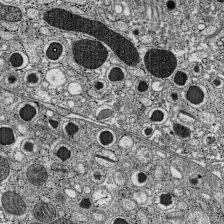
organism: C57BL Mouse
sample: Pancreatic islet